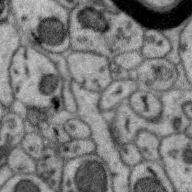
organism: Zebra finch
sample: Brain